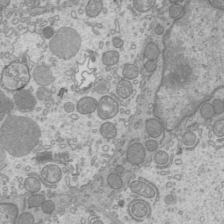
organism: Mouse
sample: Cilia; mouse epididymis